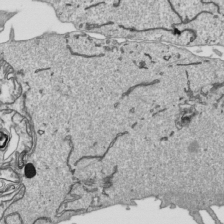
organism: Human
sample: Mitochondria in HCT116 cells